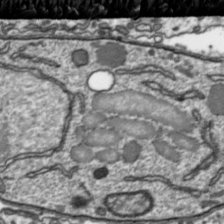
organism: Toxoplasma gondii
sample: Parasites in a vacuole inside a host cell